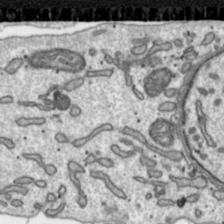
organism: Toxoplasma gondii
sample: Parasites in a vacuole inside a host cell